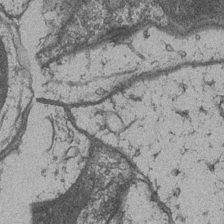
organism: Drosophila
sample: Optic medulla